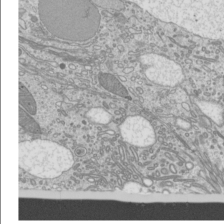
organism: Mouse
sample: Cilia; mouse epididymis